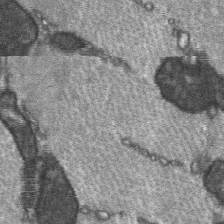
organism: C57BL Mouse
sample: Soleus